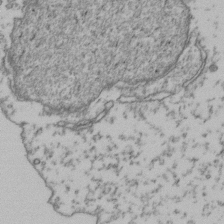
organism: Human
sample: Activated Jurkat CD4+ T cells